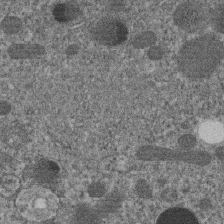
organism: C. elegans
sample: C. elegans embryo early stage